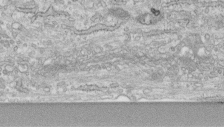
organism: Human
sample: Centriole in fibroblast cells